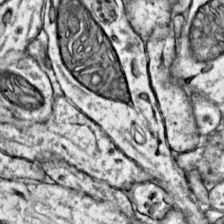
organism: Mouse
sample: Primary visual cortex